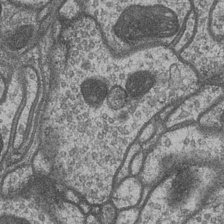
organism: Drosophila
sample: Optic medulla